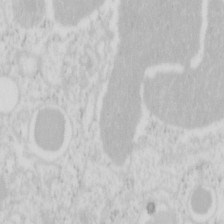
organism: Mouse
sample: Pancreas